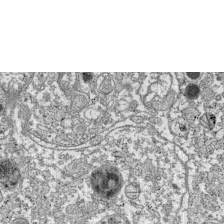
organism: C57BL Mouse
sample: Pancreatic islet